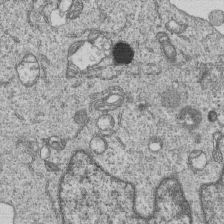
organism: Human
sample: MDA-MB-231 cells